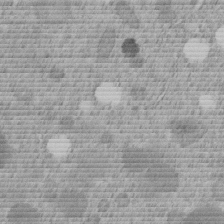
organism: C. elegans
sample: C. elegans embryo early stage